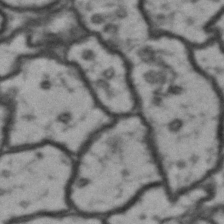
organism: Drosophila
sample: Brain